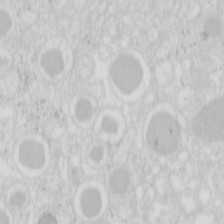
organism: Mouse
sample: Pancreas